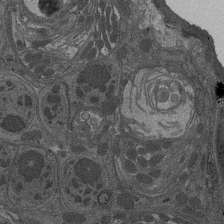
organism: Drosophila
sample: Antenna